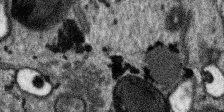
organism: Human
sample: Lung epithelial cells infected with SARS-CoV-2